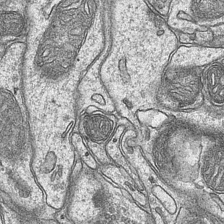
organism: Mouse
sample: CA1 Hippocampus